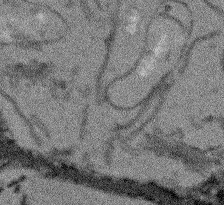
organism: Arabidopsis thaliana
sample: Root tip